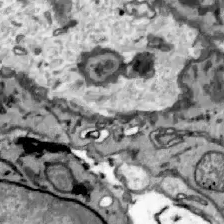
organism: Zebrafish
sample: Actinotrichia fibers